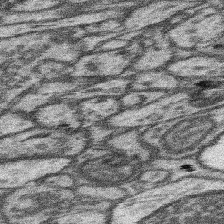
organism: Mouse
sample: Somatosensory cortex neuropil